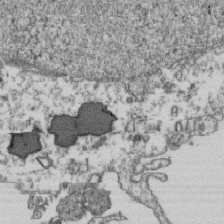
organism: Human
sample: Activated Jurkat CD4+ T cells